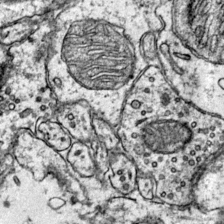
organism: Mouse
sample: Primary visual cortex